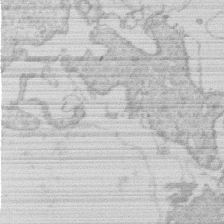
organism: Human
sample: Macrophage cells